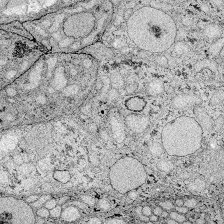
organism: Zebrafish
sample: Whole-Brain